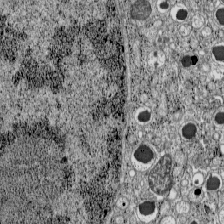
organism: C57BL Mouse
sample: Pancreatic islet